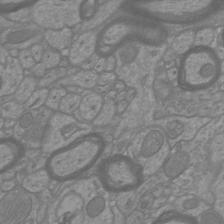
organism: Mouse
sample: Cortical neurons